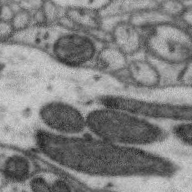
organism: Zebra finch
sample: Brain